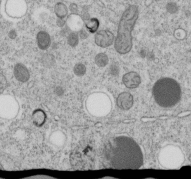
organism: C. elegans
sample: C. elegans embryo early stage